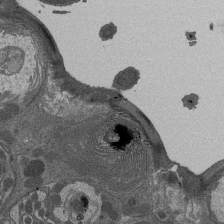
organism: Drosophila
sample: Antenna